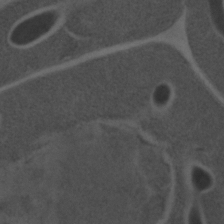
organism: C. elegans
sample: C. elegans embryo